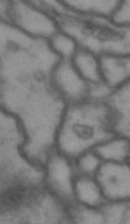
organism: Drosophila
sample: Brain